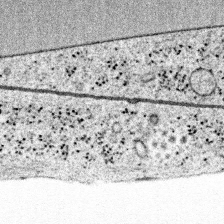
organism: Human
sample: HeLa cells